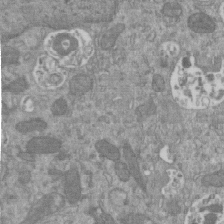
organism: Mouse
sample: ED-1 cell nuclei; centrioles